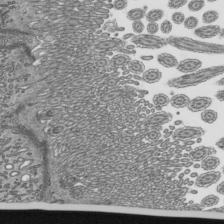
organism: Mouse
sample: Mouse epididymis efferent ductule cilia